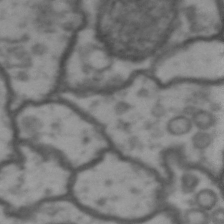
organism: Drosophila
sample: Brain